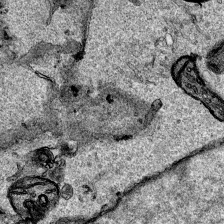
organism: Human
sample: Mitochondria in HCT116 cells